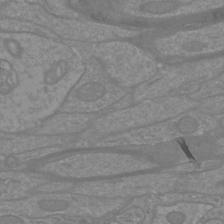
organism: Mouse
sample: Cortical neurons